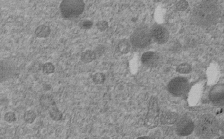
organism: C. elegans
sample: C. elegans embryo early stage